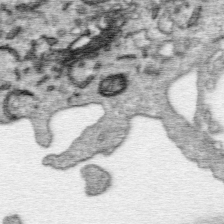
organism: Human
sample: HeLa cells